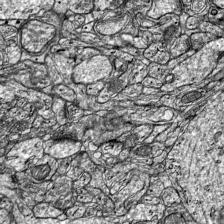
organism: Mouse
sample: Visual Cortex